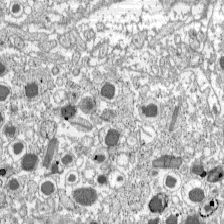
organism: C57BL Mouse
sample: Pancreatic islet